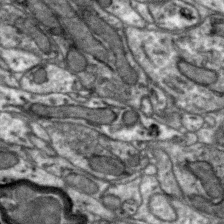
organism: Zebra finch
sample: Brain